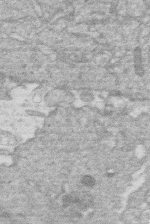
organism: Human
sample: Macrophage cells